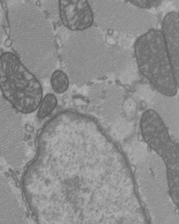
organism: C57BL Mouse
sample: Heart